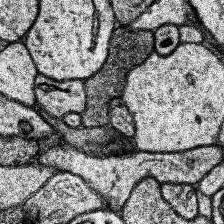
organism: Human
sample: Temporal Lobe